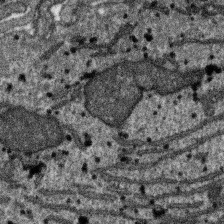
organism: Human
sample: Lung epithelial cells infected with SARS-CoV-2